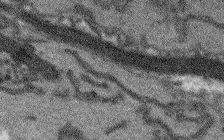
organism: Arabidopsis thaliana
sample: Root tip